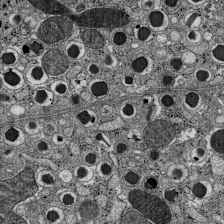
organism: C57BL Mouse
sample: Pancreatic islet